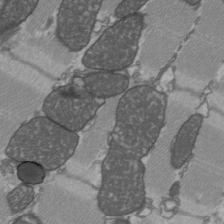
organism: C57BL Mouse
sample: Heart